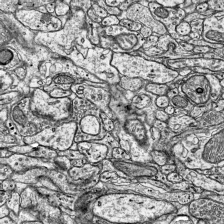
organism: Mouse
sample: Visual Cortex